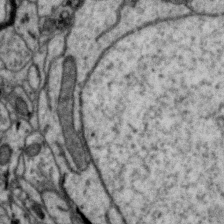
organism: Zebra finch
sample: Brain